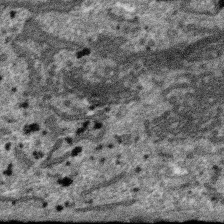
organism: Human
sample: Lung epithelial cells infected with SARS-CoV-2